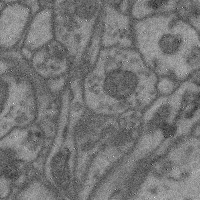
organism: Mouse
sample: Cerebral cortex